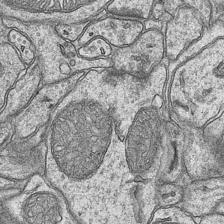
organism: Mouse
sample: CA1 Hippocampus